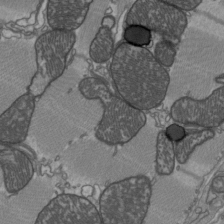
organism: C57BL Mouse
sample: Heart